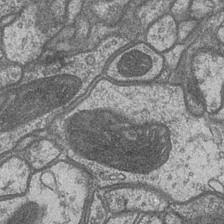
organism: Drosophila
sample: Optic medulla